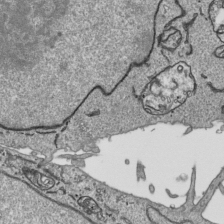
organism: Human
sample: Mitochondria in HCT116 cells